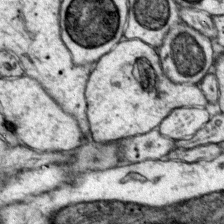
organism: Mouse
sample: Primary visual cortex